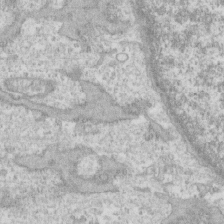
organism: Human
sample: CRL-1474